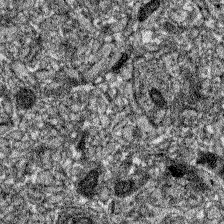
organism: Zebrafish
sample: Larval olfactory bulb